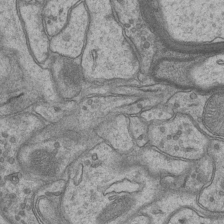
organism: Mouse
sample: CA1 Hippocampus